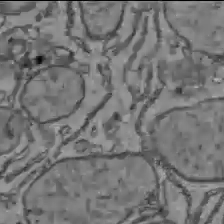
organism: C57BL Mouse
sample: Liver